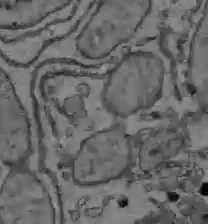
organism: C57BL Mouse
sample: Liver